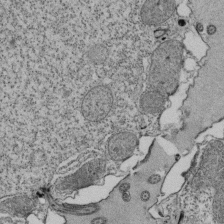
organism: Tetrahymena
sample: Cilia in tetrahymena